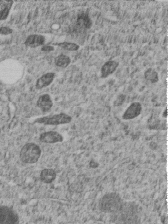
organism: C. elegans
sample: C. elegans embryo early stage